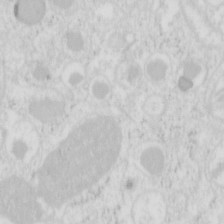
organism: Mouse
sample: Pancreas